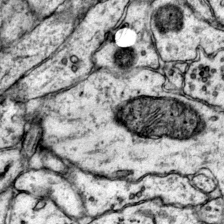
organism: Mouse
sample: Primary visual cortex